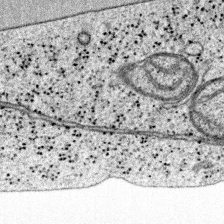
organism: Human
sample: HeLa cells